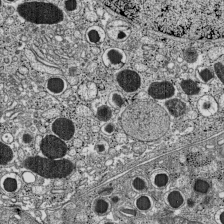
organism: C57BL Mouse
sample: Pancreatic islet